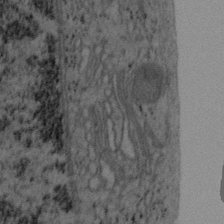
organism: Human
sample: HeLa cells